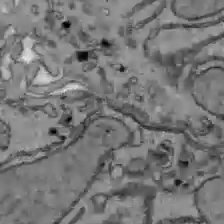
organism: C57BL Mouse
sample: Liver